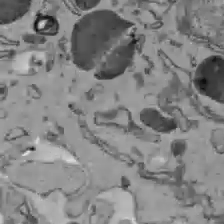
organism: C57BL Mouse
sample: Liver